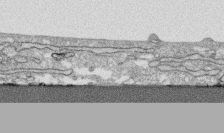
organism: Human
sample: CRL-1474